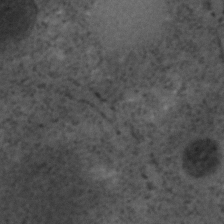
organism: C. elegans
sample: C. elegans embryo